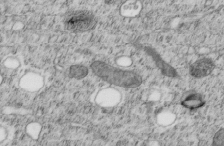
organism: C. elegans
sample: C. elegans embryo early stage